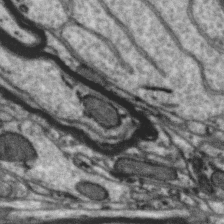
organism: Zebra finch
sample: Brain